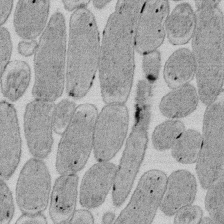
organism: E. coli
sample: Bacterial nucleoid